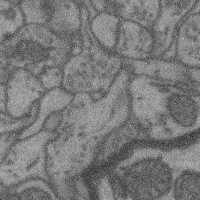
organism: Mouse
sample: Cerebral cortex